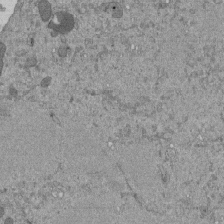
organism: Mouse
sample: ED-1 cell nuclei; centrioles